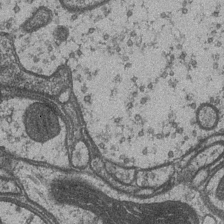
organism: Drosophila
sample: Optic medulla